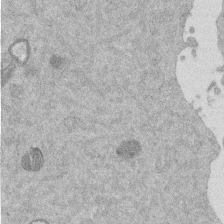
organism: Mouse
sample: Dividing mouse embryo 1 cell stage